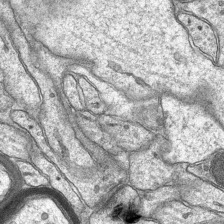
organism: Mouse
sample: CA1 Hippocampus